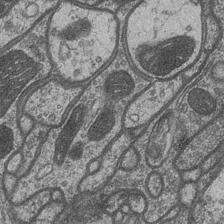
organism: Drosophila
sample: Optic medulla